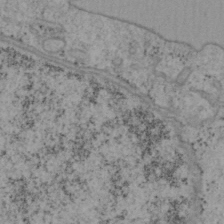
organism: Human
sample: HeLa cells